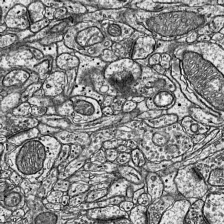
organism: Mouse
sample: Visual Cortex